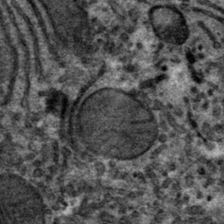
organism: Mouse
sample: Mouse hepatocytes